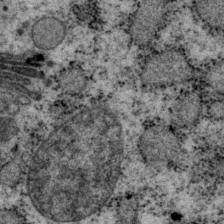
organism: P. pacificus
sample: Pharynx